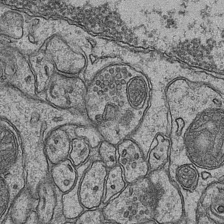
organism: Mouse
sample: CA1 Hippocampus